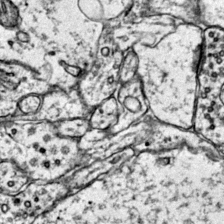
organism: Mouse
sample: Primary visual cortex